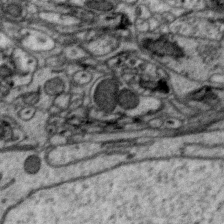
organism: Zebra finch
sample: Brain